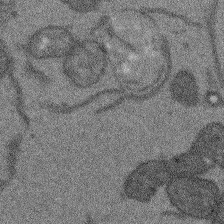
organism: Arabidopsis thaliana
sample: Root tip